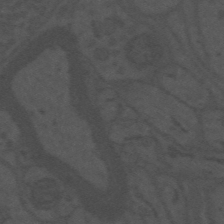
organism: Mouse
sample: Suprachiasmatic nucleus